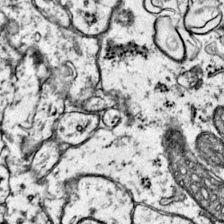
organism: Mouse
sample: Primary visual cortex